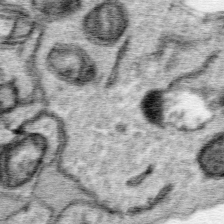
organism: Human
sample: HeLa cells